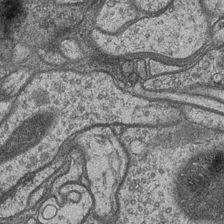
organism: Drosophila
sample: Optic medulla